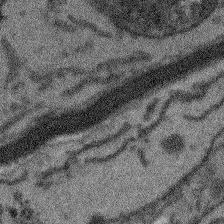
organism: Arabidopsis thaliana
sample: Root tip